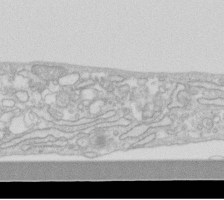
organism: Human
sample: Fibroblast cells